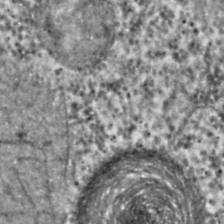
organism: C. elegans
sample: C. elegans embryo